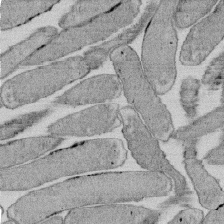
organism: E. coli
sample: Bacterial nucleoid